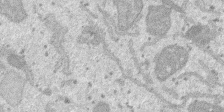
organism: Human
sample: Lung epithelial cells infected with SARS-CoV-2